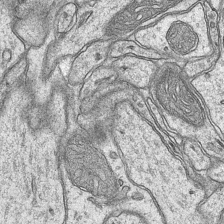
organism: Mouse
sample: CA1 Hippocampus